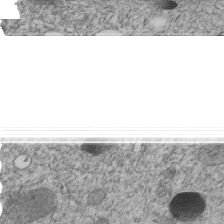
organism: C. elegans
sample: C. elegans embryo early stage